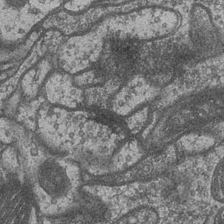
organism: Drosophila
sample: Optic medulla